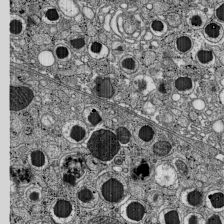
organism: C57BL Mouse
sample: Pancreatic islet